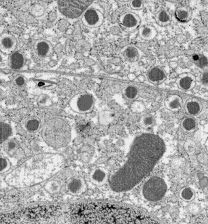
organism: C57BL Mouse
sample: Pancreatic islet